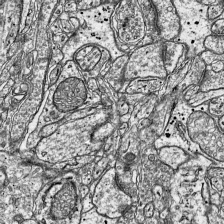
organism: Mouse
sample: Visual Cortex